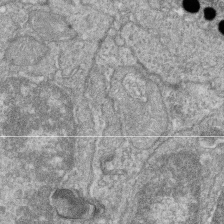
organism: Zebrafish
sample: Cilia; retinal pigment epithelium